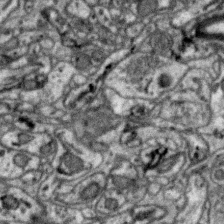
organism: Zebra finch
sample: Brain